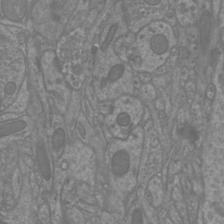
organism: Mouse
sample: Cortical neurons